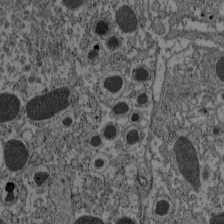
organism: C57BL Mouse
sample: Pancreatic islet